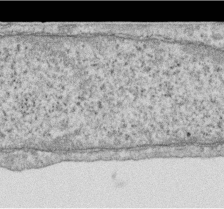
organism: Human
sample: Centriole in RPE cells